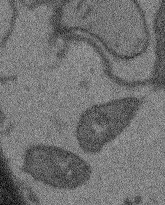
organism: Arabidopsis thaliana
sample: Root tip